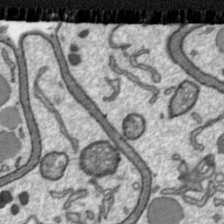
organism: Toxoplasma gondii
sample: Parasites in a vacuole inside a host cell